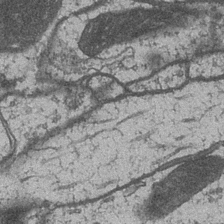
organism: Drosophila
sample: Optic medulla